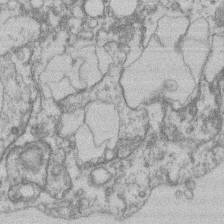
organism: Mouse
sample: T cell stromal cell synapse